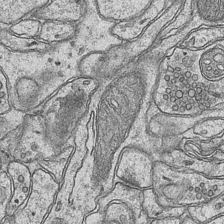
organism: Mouse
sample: CA1 Hippocampus